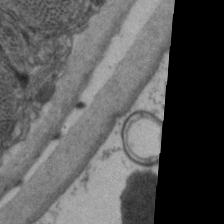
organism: C. elegans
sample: Pharynx